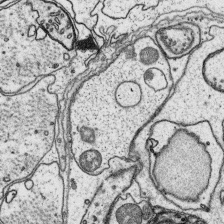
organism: Platynereis dumerilii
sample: Parapodia